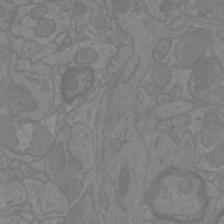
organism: Mouse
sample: Cortical neurons